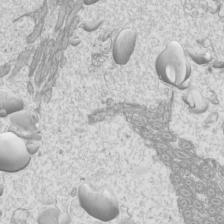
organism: Mouse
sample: Cilia; mouse epididymis